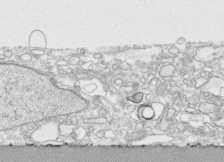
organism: Human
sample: CRL-1474